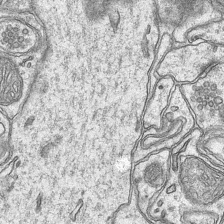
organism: Mouse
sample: CA1 Hippocampus